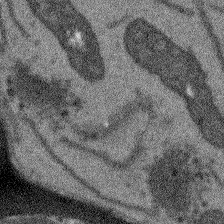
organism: Arabidopsis thaliana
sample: Root tip